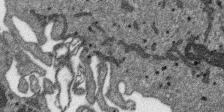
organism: Human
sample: Lung epithelial cells infected with SARS-CoV-2